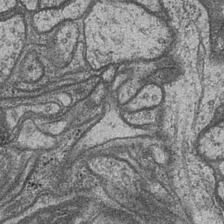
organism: Drosophila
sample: Optic medulla